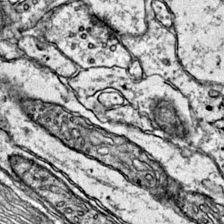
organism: Mouse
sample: Primary visual cortex